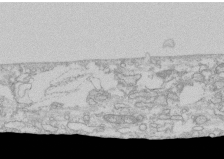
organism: Human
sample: CRL-1474